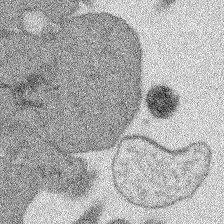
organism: Human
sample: HeLa cells